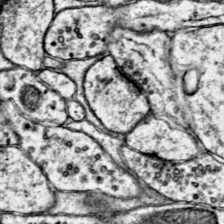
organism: Mouse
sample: Primary visual cortex